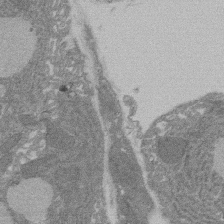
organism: Rat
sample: Salivary granule